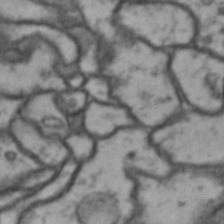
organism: Drosophila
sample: Brain